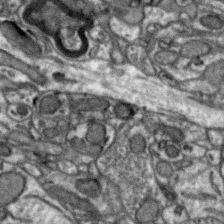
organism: Zebra finch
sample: Brain